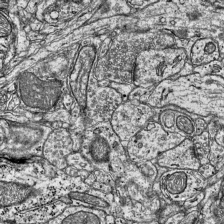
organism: Mouse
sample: Visual Cortex